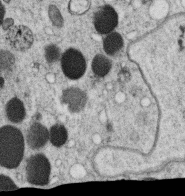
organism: C. elegans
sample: C. elegans oocyte; sperm cells